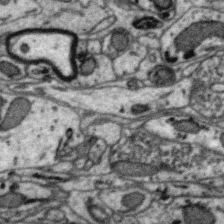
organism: Zebra finch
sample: Brain